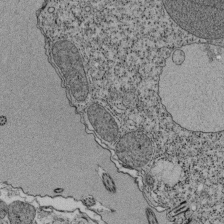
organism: Tetrahymena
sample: Cilia in tetrahymena